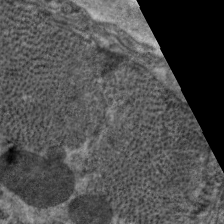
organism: C. elegans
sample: Pharynx